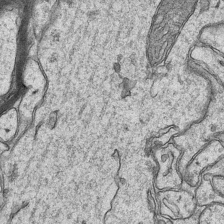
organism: Mouse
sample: CA1 Hippocampus